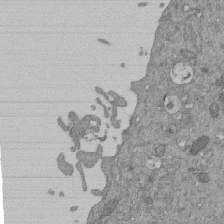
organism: Mouse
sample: ED-1 cell nuclei; centrioles